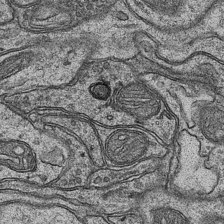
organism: Mouse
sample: CA1 Hippocampus